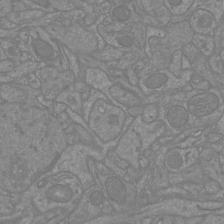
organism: Mouse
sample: Cortical neurons